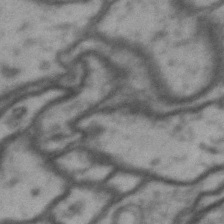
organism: Drosophila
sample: Brain